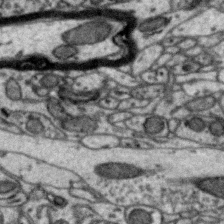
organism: Zebra finch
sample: Brain